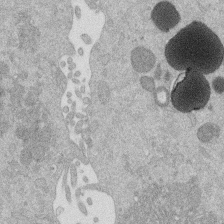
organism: Mouse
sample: Dividing mouse embryo 1 cell stage